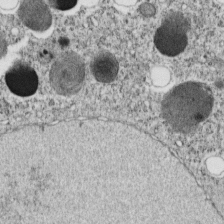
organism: C. elegans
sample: C. elegans embryo early stage